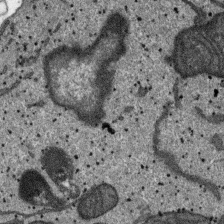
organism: Human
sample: Lung epithelial cells, uninfected (mock) control